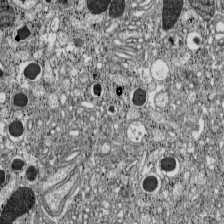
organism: C57BL Mouse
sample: Pancreatic islet